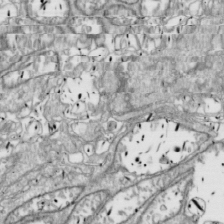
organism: Drosophila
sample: Cell division; meiosis; drosophila spermatocytes